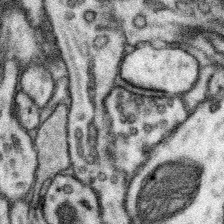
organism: Mouse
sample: Somatosensory cortex neuropil